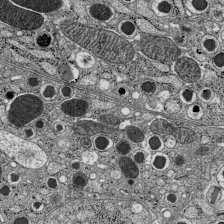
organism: C57BL Mouse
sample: Pancreatic islet